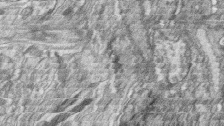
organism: Zebrafish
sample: synaptic ribbons in rod cells and cone cells